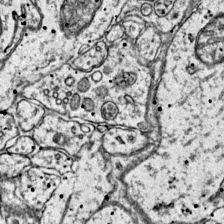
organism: Mouse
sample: Primary visual cortex